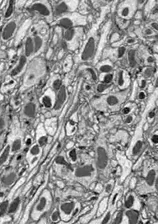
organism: Drosophila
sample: Optic lobe